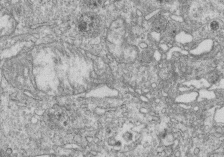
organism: Human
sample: HeLa cell HIV synapse